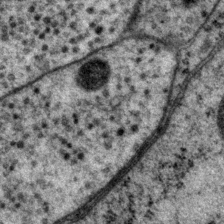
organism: P. pacificus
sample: Pharynx